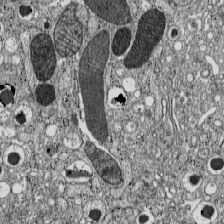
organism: C57BL Mouse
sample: Pancreatic islet